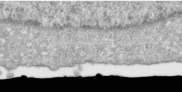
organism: Human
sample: Centriole in RPE cells